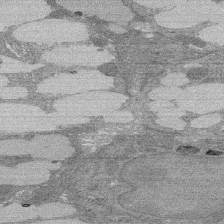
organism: Rat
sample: Salivary granule